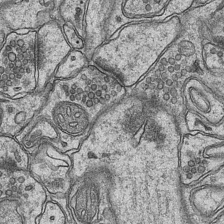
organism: Mouse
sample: CA1 Hippocampus